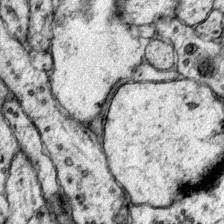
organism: Mouse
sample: Primary visual cortex